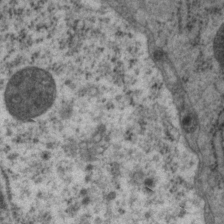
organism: P. pacificus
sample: Pharynx